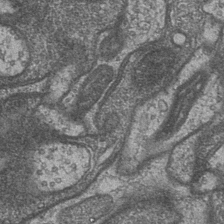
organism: Drosophila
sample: Optic medulla